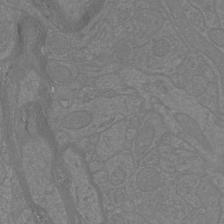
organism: Mouse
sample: Cortical neurons